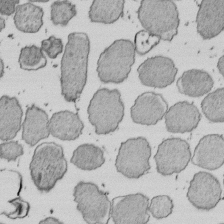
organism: E. coli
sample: Bacterial nucleoid